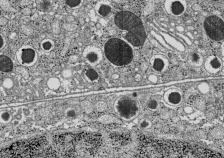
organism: C57BL Mouse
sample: Pancreatic islet